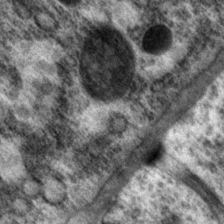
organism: P. pacificus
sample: Pharynx